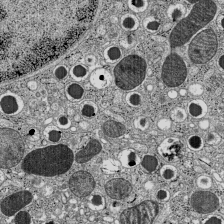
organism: C57BL Mouse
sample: Pancreatic islet